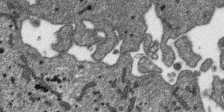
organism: Human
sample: Lung epithelial cells infected with SARS-CoV-2